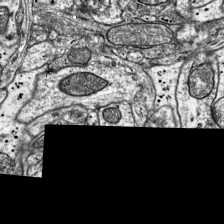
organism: Mouse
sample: Visual Cortex